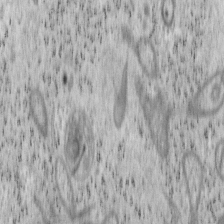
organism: Human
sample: HeLa cells